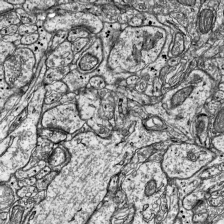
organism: Mouse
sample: Visual Cortex